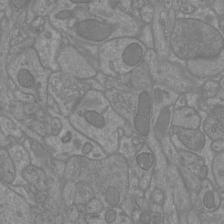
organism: Mouse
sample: Cortical neurons